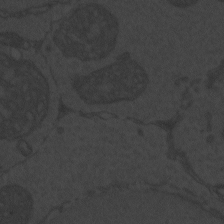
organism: Zebrafish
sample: Macrophage infected with Toxoplasma gondii